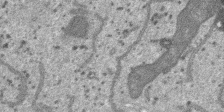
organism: Human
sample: Lung epithelial cells infected with SARS-CoV-2